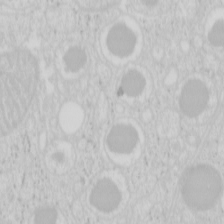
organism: Mouse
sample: Pancreas